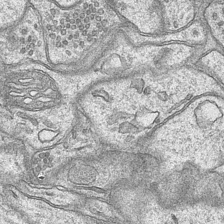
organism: Mouse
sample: CA1 Hippocampus